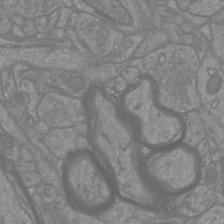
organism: Mouse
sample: Cortical neurons